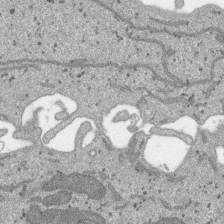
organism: Human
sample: Lung epithelial cells infected with SARS-CoV-2